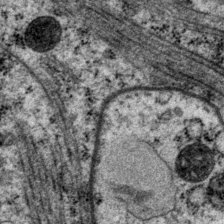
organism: P. pacificus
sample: Pharynx